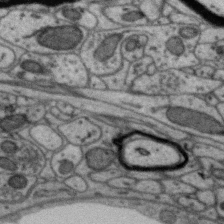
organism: Zebra finch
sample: Brain